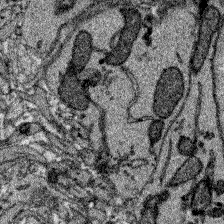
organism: Zebrafish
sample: Larval olfactory bulb